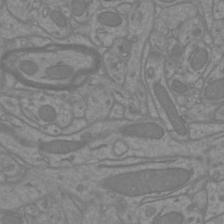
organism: Mouse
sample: Cortical neurons